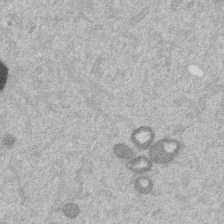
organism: Mouse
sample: Dividing mouse embryo 1 cell stage